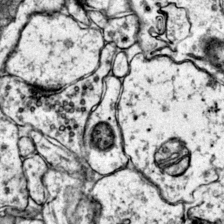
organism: Mouse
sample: Primary visual cortex